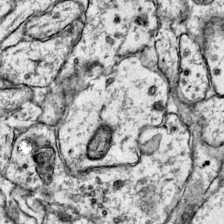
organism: Mouse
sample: Primary visual cortex